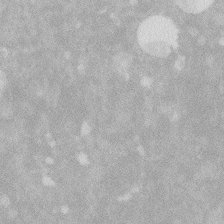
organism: Zebrafish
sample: Macrophage